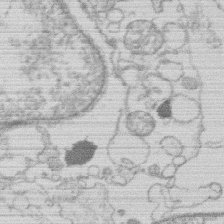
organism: Human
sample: Macrophage cells